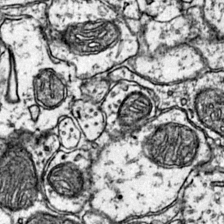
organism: Mouse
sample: Primary visual cortex